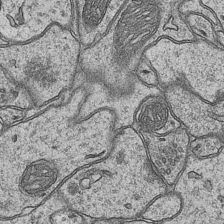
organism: Mouse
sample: CA1 Hippocampus